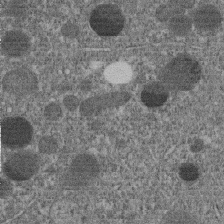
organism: C. elegans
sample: C. elegans embryo early stage